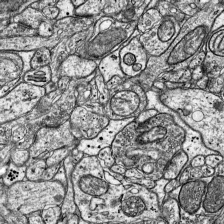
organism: Mouse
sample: Visual Cortex